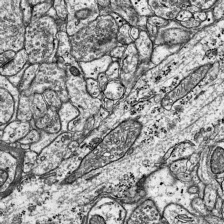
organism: Mouse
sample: Visual Cortex